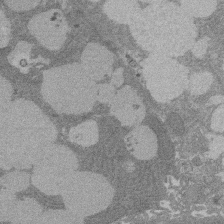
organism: Rat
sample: Salivary granule